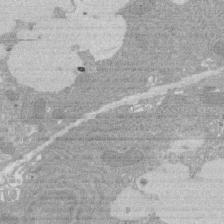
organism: Rat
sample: Salivary granule